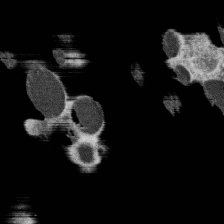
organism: C. elegans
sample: C. elegans oocyte; sperm cells